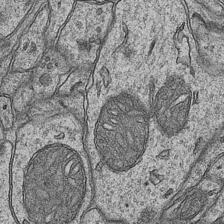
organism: Mouse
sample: CA1 Hippocampus